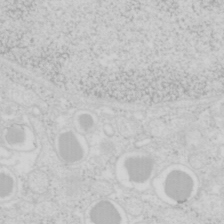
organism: Mouse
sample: Pancreas